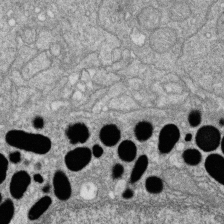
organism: Zebrafish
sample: Cilia; retinal pigment epithelium